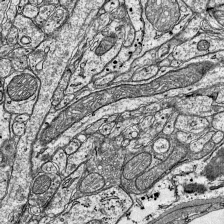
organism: Mouse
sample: Visual Cortex